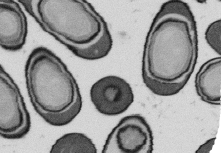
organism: B. subtilis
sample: Bacterial spore